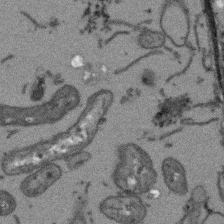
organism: Arabidopsis thaliana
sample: Root tip